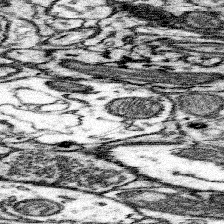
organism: Mouse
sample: Somatosensory cortex neuropil